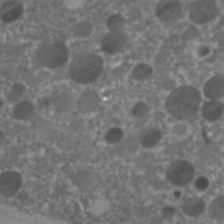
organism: C. elegans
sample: C. elegans embryo